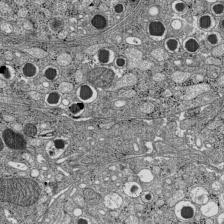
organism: C57BL Mouse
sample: Pancreatic islet